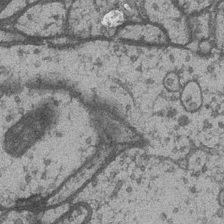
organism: Drosophila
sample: Optic medulla